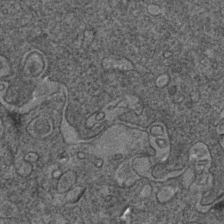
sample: Trachea